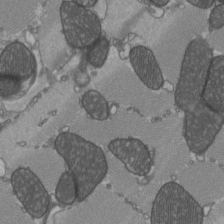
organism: C57BL Mouse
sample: Heart